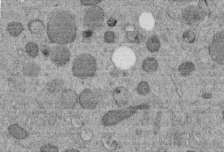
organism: C. elegans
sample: C. elegans embryo early stage